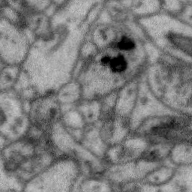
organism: Zebra finch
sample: Brain